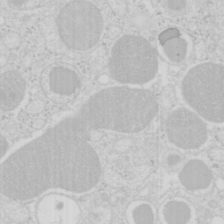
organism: Mouse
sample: Pancreas